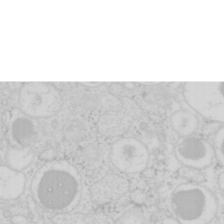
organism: Mouse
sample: Pancreas